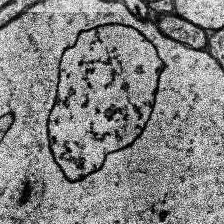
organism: Human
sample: Temporal Lobe